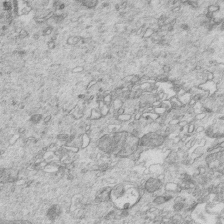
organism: Mouse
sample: Multiciliated cells